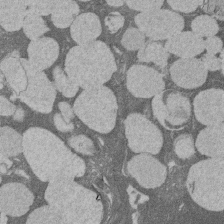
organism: Rat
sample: Salivary granule